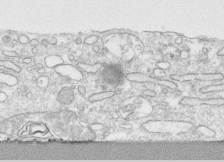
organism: Human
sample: CRL-1474